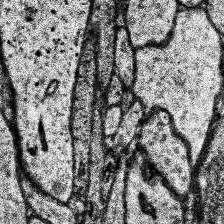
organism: Human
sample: Temporal Lobe